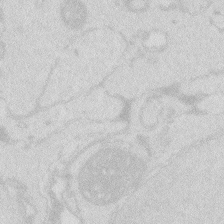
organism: Zebrafish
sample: Macrophage